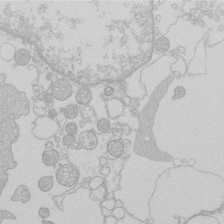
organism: Human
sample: Macrophage cells